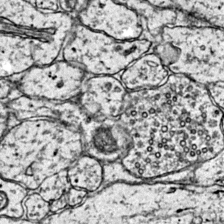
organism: Mouse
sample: Primary visual cortex